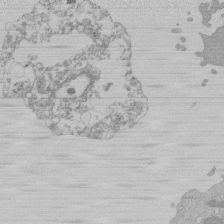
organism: Mouse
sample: Activated Pmel transgenic CD8+ T Cells